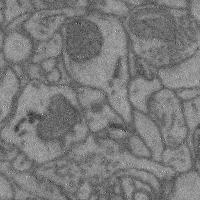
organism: Mouse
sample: Cerebral cortex